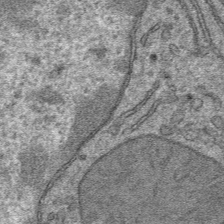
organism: Mouse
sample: Mouse hepatocytes